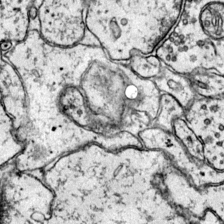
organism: Mouse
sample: Primary visual cortex